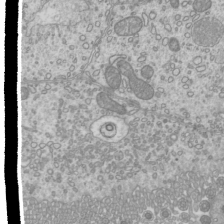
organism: Mouse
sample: Cilia; mouse epididymis